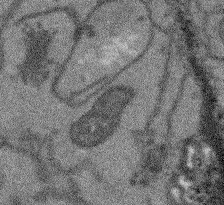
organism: Arabidopsis thaliana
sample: Root tip